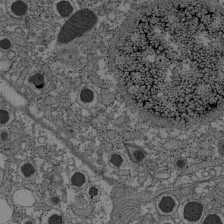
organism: C57BL Mouse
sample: Pancreatic islet